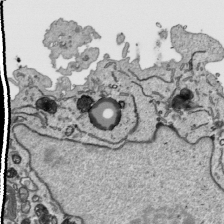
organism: Human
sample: Mitochondria in HCT116 cells